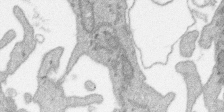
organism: Human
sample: Lung epithelial cells infected with SARS-CoV-2